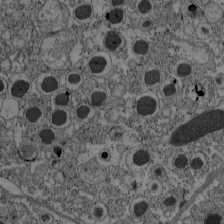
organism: C57BL Mouse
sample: Pancreatic islet